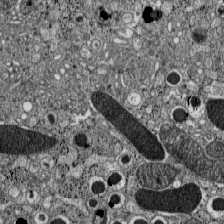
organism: C57BL Mouse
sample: Pancreatic islet